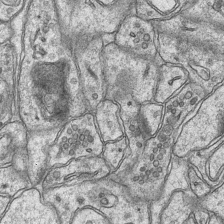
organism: Mouse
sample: CA1 Hippocampus